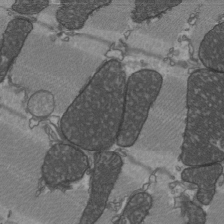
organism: C57BL Mouse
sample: Heart